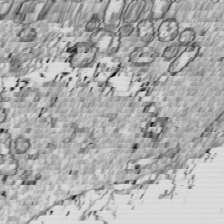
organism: Drosophila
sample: Cell division; meiosis; drosophila spermatocytes